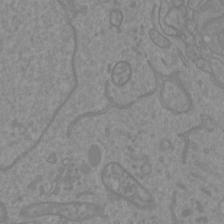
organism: Mouse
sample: Cortical neurons